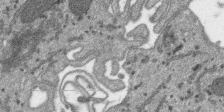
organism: Human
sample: Lung epithelial cells infected with SARS-CoV-2